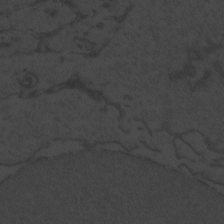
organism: Zebrafish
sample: Macrophage infected with Toxoplasma gondii